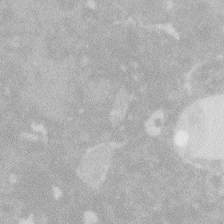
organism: Zebrafish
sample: Macrophage